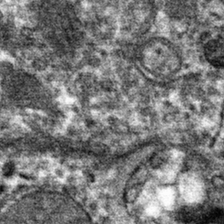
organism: Mouse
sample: Mouse hepatocytes